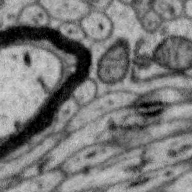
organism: Zebra finch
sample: Brain